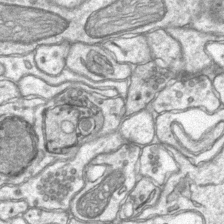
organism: Mouse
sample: CA1 Hippocampus